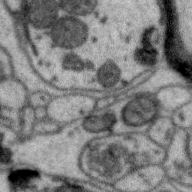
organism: Zebra finch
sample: Brain